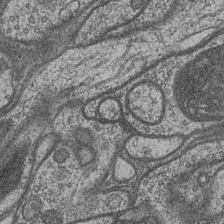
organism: Drosophila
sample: Optic medulla